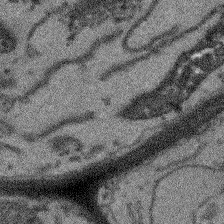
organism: Arabidopsis thaliana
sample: Root tip